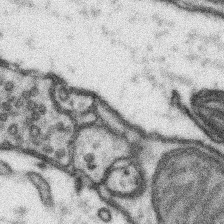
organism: Mouse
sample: Somatosensory cortex neuropil